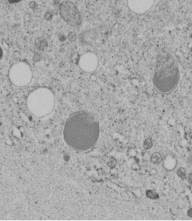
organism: C. elegans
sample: C. elegans embryo early stage